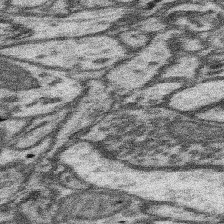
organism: Mouse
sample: Somatosensory cortex neuropil